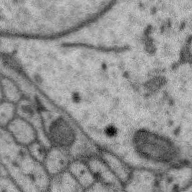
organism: Zebra finch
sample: Brain